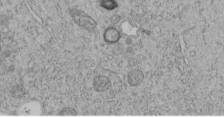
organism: C. elegans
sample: C. elegans embryo early stage